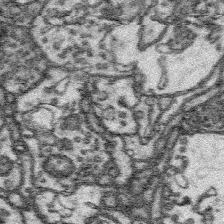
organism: Platynereis dumerilii